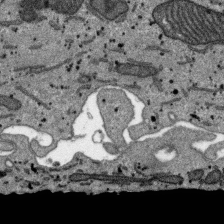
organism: Human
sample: Lung epithelial cells, uninfected (mock) control